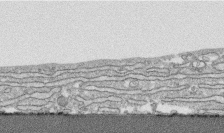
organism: Human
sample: CRL-1474